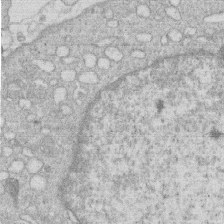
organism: Human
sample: Macrophage cells